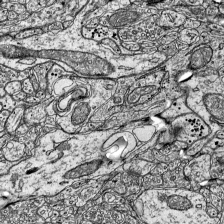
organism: Mouse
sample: Visual Cortex